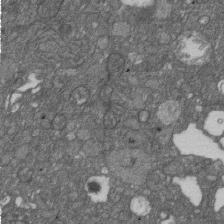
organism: Drosophila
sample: Nephrocyte